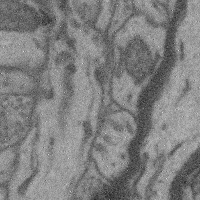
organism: Mouse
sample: Cerebral cortex